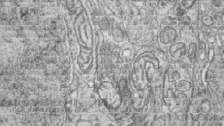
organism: Zebrafish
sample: synaptic ribbons in rod cells and cone cells